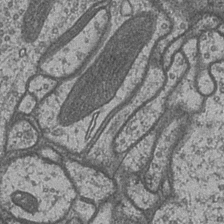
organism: Drosophila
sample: Optic medulla